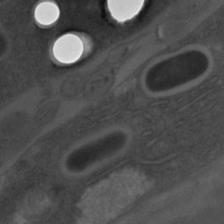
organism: C. elegans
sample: C. elegans embryo